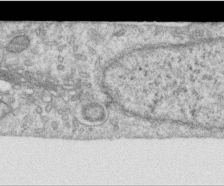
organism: Human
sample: Centriole in RPE cells